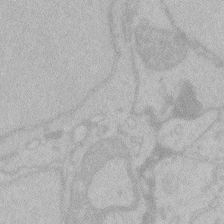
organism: Zebrafish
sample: Macrophage infected with Toxoplasma gondii